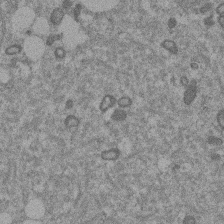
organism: Mouse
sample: Dividing mouse embryo 1 cell stage